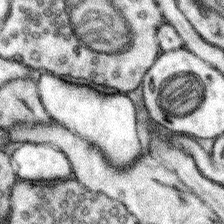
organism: Mouse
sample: Somatosensory cortex neuropil